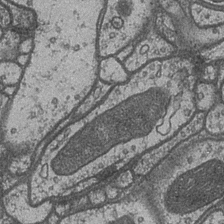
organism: Drosophila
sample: Optic medulla